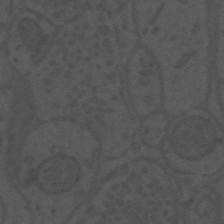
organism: Mouse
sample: Suprachiasmatic nucleus